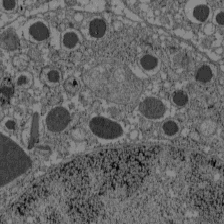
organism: C57BL Mouse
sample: Pancreatic islet